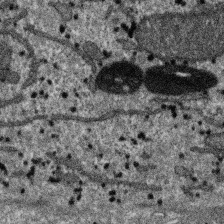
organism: Human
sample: Lung epithelial cells infected with SARS-CoV-2